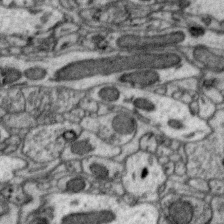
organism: Zebra finch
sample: Brain